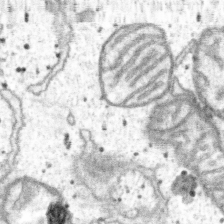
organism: Human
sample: HeLa cells